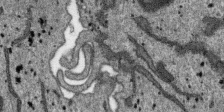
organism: Human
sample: Lung epithelial cells, uninfected (mock) control